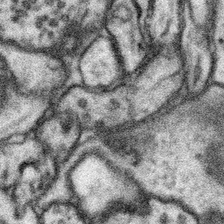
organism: Mouse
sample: Somatosensory cortex neuropil